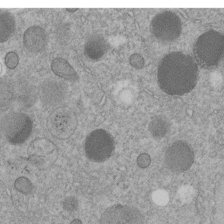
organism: C. elegans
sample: C. elegans embryo early stage